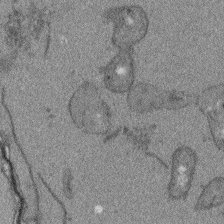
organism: Arabidopsis thaliana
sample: Root tip